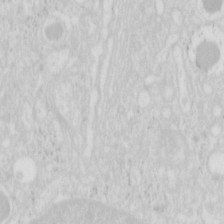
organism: Mouse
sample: Pancreas